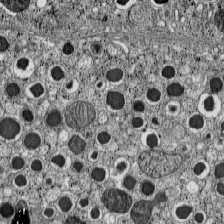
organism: C57BL Mouse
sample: Pancreatic islet